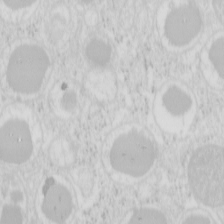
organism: Mouse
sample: Pancreas